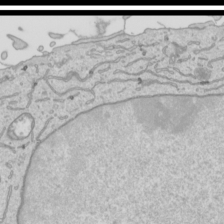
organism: Human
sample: Mitochondria in HCT116 cells